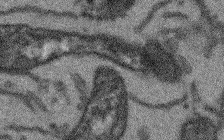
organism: Arabidopsis thaliana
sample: Root tip